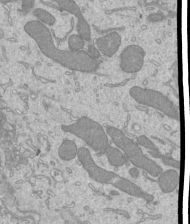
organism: Mouse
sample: Cilia; mouse epididymis